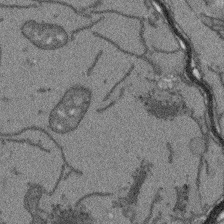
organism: Arabidopsis thaliana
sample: Root tip